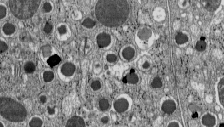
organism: C57BL Mouse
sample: Pancreatic islet